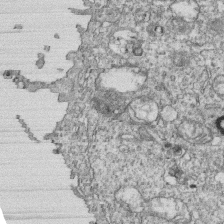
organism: Human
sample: HeLa cell HIV synapse